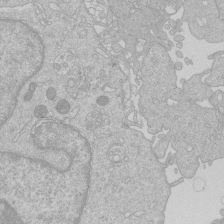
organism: Human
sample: Macrophage cells